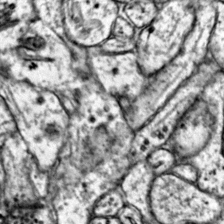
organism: Mouse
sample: Primary visual cortex